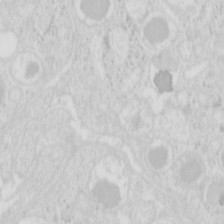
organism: Mouse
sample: Pancreas